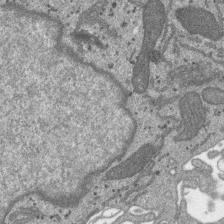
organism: Human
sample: Lung epithelial cells infected with SARS-CoV-2